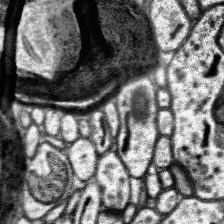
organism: Human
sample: Temporal Lobe